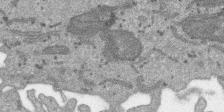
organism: Human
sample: Lung epithelial cells infected with SARS-CoV-2